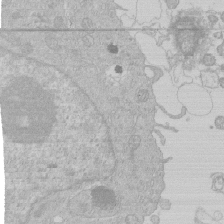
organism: Human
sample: Macrophage cells